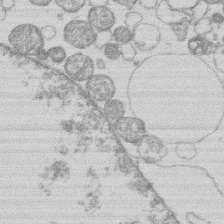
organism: Human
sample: Macrophage cells